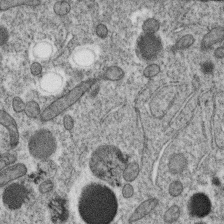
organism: C. elegans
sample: C. elegans oocyte; sperm cells